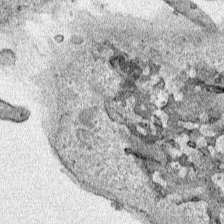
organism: Human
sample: Mitochondria in HCT116 cells